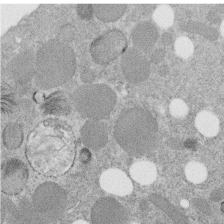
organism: C. elegans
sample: C. elegans embryo early stage